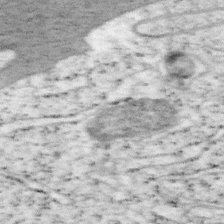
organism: Mouse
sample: OT-I killer T cells with ID8 ovarian cancer cells